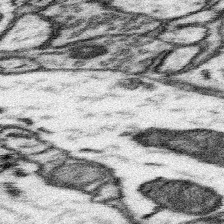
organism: Mouse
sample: Somatosensory cortex neuropil